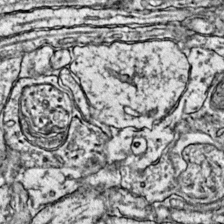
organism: Mouse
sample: Primary visual cortex